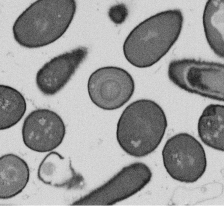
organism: B. subtilis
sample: Bacterial spore